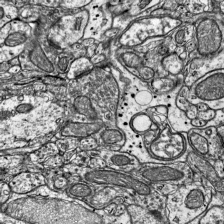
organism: Mouse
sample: Visual Cortex